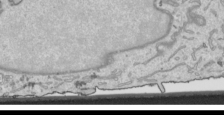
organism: Human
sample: Mitochondria in HCT116 cells